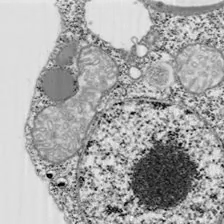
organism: Chlamydomonas reinhardtii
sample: Whole Cell